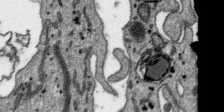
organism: Human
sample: Lung epithelial cells, uninfected (mock) control